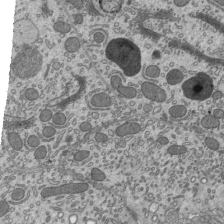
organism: Mouse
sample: Mouse epididymis efferent ductule cilia